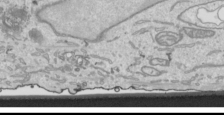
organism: Human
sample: Mitochondria in HCT116 cells